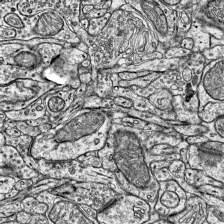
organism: Mouse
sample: Visual Cortex